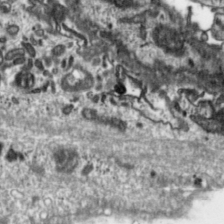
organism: Toxoplasma gondii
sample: Parasites in a vacuole inside a host cell